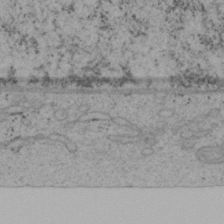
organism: Human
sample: HeLa cells